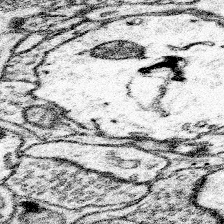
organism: Mouse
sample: Somatosensory cortex neuropil